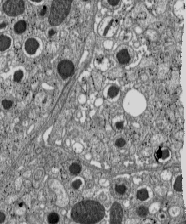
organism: C57BL Mouse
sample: Pancreatic islet